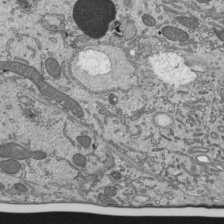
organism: Mouse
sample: Mouse epididymis efferent ductule cilia